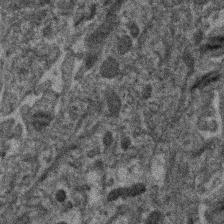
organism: Human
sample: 1205lu cells